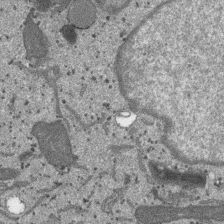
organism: Human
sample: Lung epithelial cells infected with SARS-CoV-2